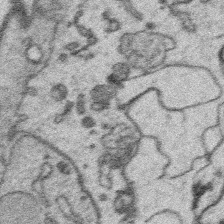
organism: Platynereis dumerilii